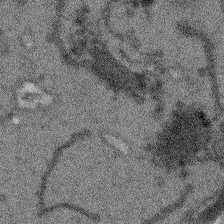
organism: Arabidopsis thaliana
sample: Root tip